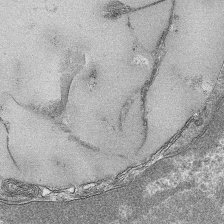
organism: Mouse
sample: Mouse hepatocytes